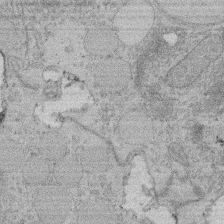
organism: Rat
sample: Salivary granule